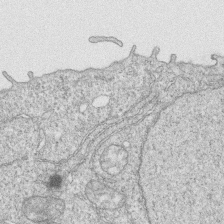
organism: Human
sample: HeLa cell HIV synapse